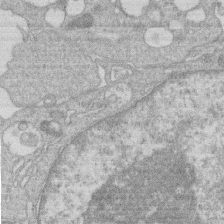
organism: Human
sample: Macrophage cells